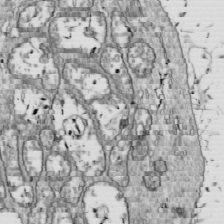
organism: Drosophila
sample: Cell division; meiosis; drosophila spermatocytes